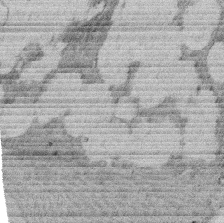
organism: Rat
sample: Salivary granule